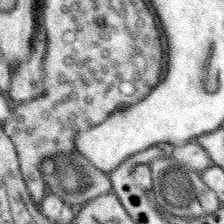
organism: Mouse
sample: Somatosensory cortex neuropil